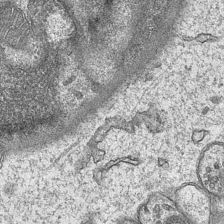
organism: Mouse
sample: CA1 Hippocampus